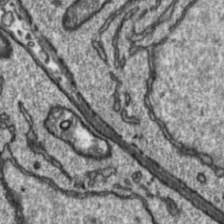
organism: Toxoplasma gondii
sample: Parasites in a vacuole inside a host cell